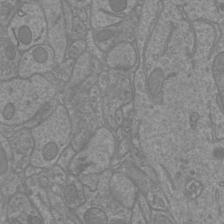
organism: Mouse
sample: Cortical neurons